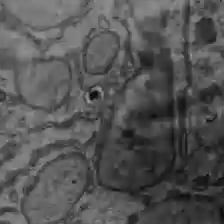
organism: C57BL Mouse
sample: Liver